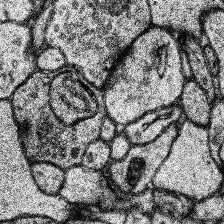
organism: Human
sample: Temporal Lobe